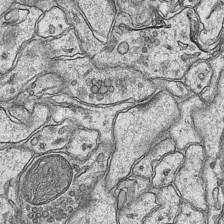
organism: Mouse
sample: CA1 Hippocampus